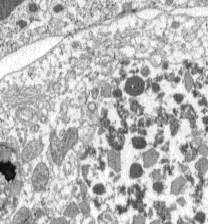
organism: C57BL Mouse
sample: Pancreatic islet